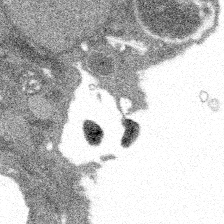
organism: Spongilla lacustris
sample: Multiple